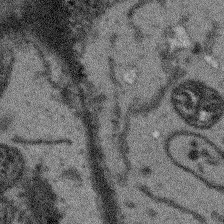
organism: Arabidopsis thaliana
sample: Root tip